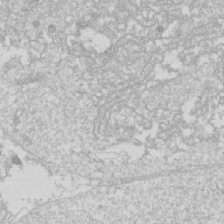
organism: Drosophila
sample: Cell division; meiosis; drosophila spermatocytes